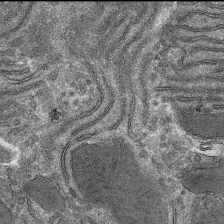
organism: Mouse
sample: Mouse hepatocytes